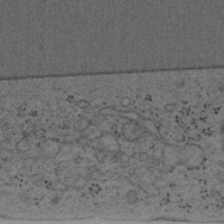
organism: Human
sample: HeLa cells